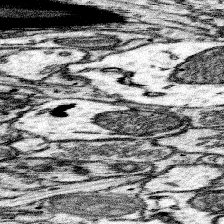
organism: Mouse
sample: Somatosensory cortex neuropil